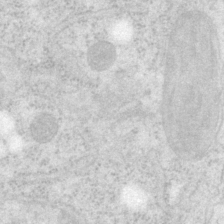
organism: P. pacificus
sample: Pharynx